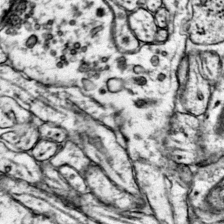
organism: Mouse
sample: Primary visual cortex